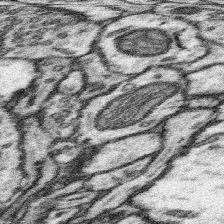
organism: Mouse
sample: Somatosensory cortex neuropil